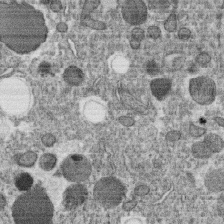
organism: C. elegans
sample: C. elegans oocyte; sperm cells